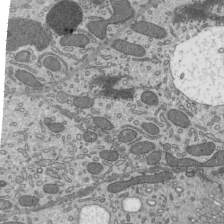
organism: Mouse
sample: Mouse epididymis efferent ductule cilia